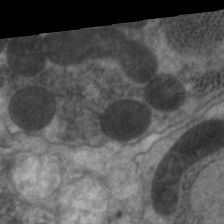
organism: C. elegans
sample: Pharynx